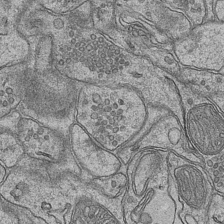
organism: Mouse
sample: CA1 Hippocampus